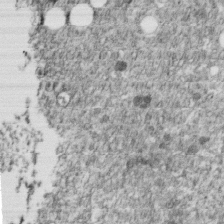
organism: C. elegans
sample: C. elegans embryo early stage